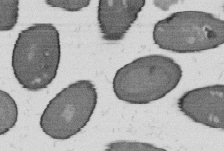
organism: B. subtilis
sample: Bacterial spore